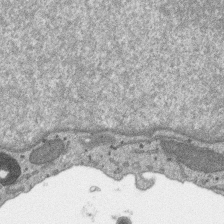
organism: Human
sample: Lung epithelial cells infected with SARS-CoV-2